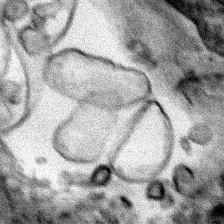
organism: Human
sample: Mitochondria in HCT116 cells